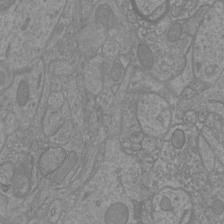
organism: Mouse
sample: Cortical neurons